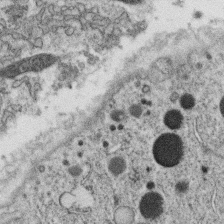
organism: C. elegans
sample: C. elegans oocyte; sperm cells